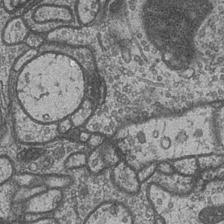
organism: Drosophila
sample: Optic medulla